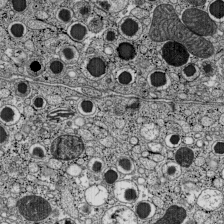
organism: C57BL Mouse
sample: Pancreatic islet